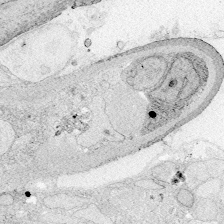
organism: Zebrafish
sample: Whole-Brain